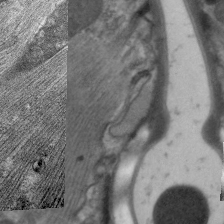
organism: C. elegans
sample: Pharynx